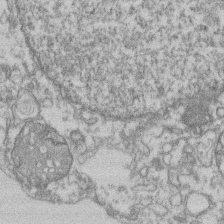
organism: Mouse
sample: T cell stromal cell synapse